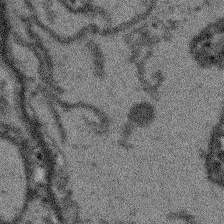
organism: Arabidopsis thaliana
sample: Root tip